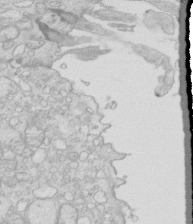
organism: Mouse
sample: Multiciliated cells